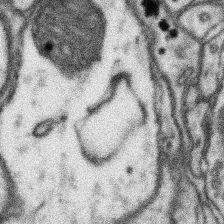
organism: Mouse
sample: Somatosensory cortex neuropil